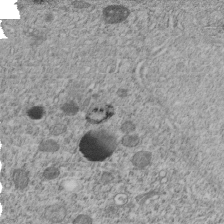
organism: C. elegans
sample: C. elegans embryo early stage